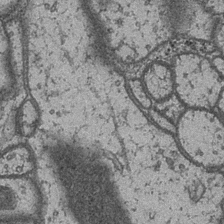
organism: Drosophila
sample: Optic medulla